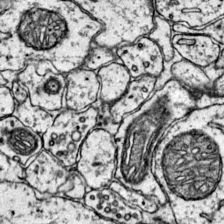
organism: Mouse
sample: Primary visual cortex